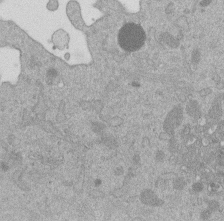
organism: Mouse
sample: Dividing mouse embryo 1 cell stage